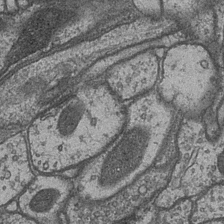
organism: Drosophila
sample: Optic medulla